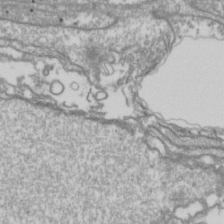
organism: Drosophila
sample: Cell division; meiosis; drosophila spermatocytes